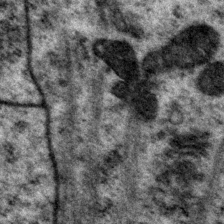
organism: P. pacificus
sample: Pharynx